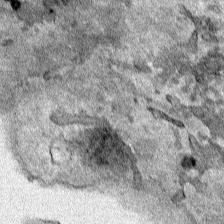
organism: Human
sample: Mitochondria in HCT116 cells